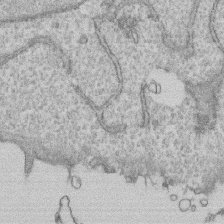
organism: Human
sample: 1205lu cells